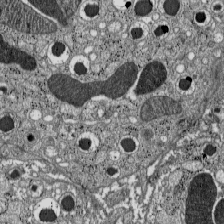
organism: C57BL Mouse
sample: Pancreatic islet